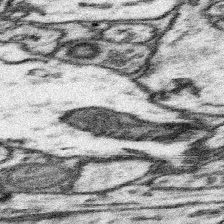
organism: Mouse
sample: Somatosensory cortex neuropil